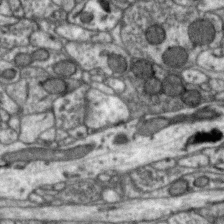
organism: Zebra finch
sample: Brain